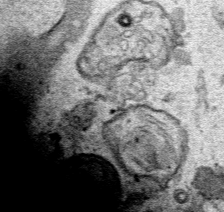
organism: Human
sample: Mitochondria in HCT116 cells